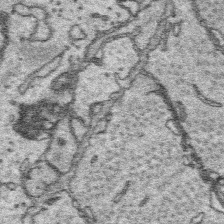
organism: Platynereis dumerilii